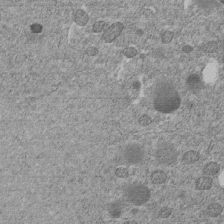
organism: C. elegans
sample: C. elegans embryo early stage